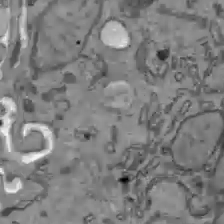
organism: C57BL Mouse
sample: Liver